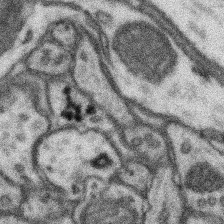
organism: Mouse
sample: Somatosensory cortex neuropil